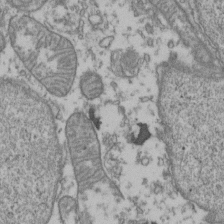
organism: Human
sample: Activated Jurkat CD4+ T cells